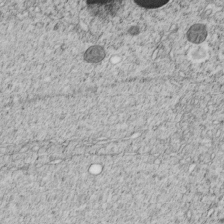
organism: C. elegans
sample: C. elegans embryo early stage